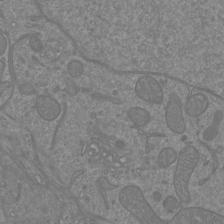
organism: Mouse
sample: Cortical neurons